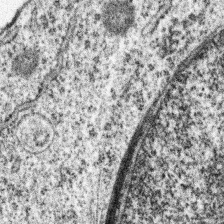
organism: Human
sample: HeLa cells